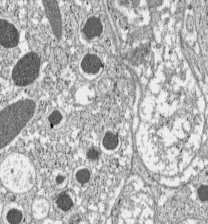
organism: C57BL Mouse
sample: Pancreatic islet